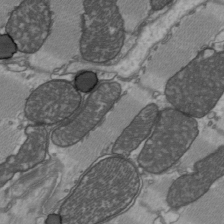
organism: C57BL Mouse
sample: Heart